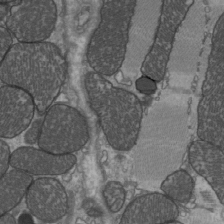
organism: C57BL Mouse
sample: Heart